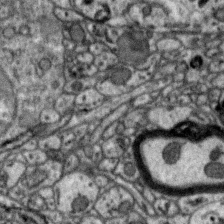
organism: Zebra finch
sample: Brain